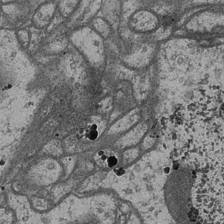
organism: Drosophila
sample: Optic medulla